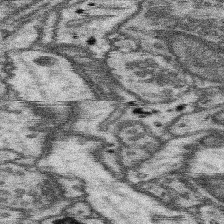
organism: Mouse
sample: Somatosensory cortex neuropil